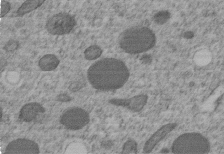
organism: C. elegans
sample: C. elegans embryo early stage